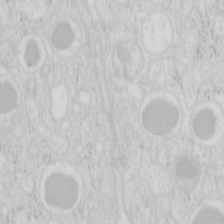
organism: Mouse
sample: Pancreas